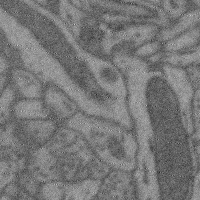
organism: Mouse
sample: Cerebral cortex